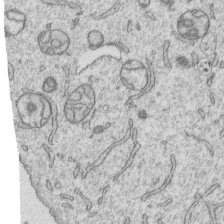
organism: Human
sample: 1205lu cells